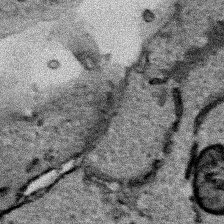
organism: Human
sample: Mitochondria in HCT116 cells